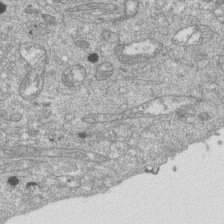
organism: Human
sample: HeLa cell HIV synapse